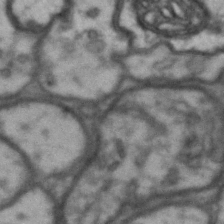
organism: Drosophila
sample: Brain